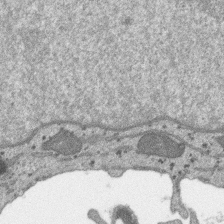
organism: Human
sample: Lung epithelial cells infected with SARS-CoV-2